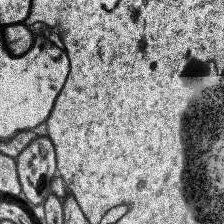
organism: Human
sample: Temporal Lobe